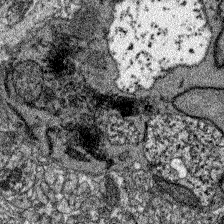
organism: Zebrafish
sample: Larval olfactory bulb